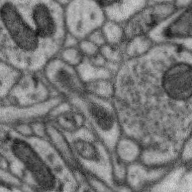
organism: Zebra finch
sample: Brain